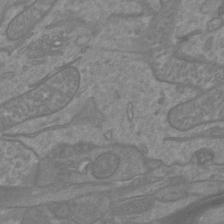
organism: Mouse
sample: Cortical neurons